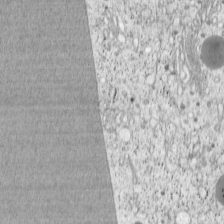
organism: African green monkey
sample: COS-7 cells